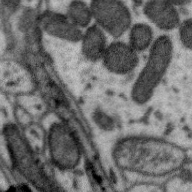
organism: Zebra finch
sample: Brain